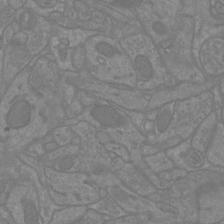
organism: Mouse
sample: Cortical neurons